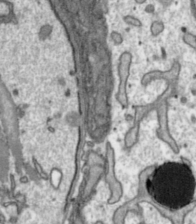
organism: Toxoplasma gondii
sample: Parasites in a vacuole inside a host cell